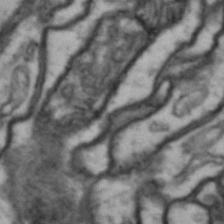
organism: Drosophila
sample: Brain